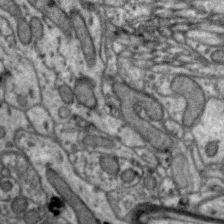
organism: Zebra finch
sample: Brain